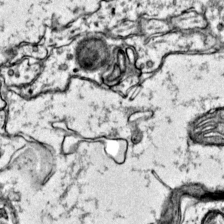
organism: Mouse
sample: Primary visual cortex